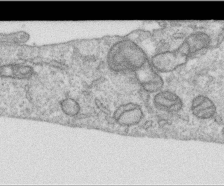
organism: Human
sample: Centriole in RPE cells